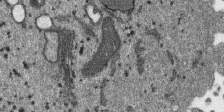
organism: Human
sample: Lung epithelial cells infected with SARS-CoV-2